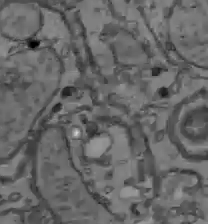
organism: C57BL Mouse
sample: Liver